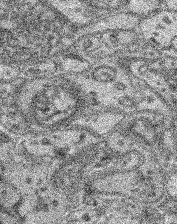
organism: Mouse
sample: Retina